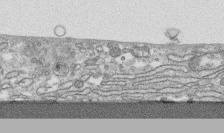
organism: Human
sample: CRL-1474